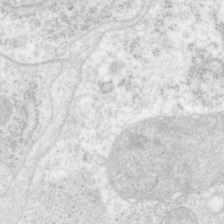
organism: P. pacificus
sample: Pharynx